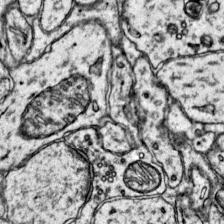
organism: Mouse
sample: Primary visual cortex